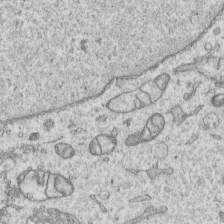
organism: Human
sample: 1205lu cells